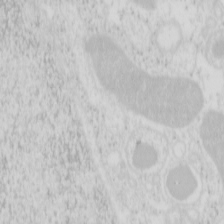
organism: Mouse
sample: Pancreas